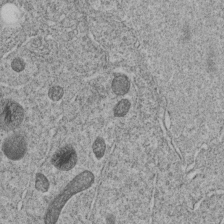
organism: C. elegans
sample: C. elegans embryo early stage